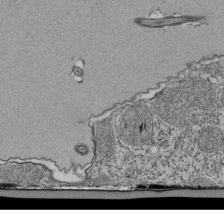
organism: Tetrahymena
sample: Cilia in tetrahymena